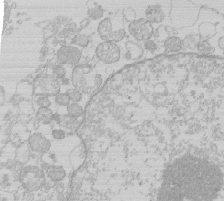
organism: Human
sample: Macrophage cells